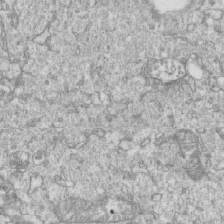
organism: Mouse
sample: Activated OT-1 CD8+ T cells